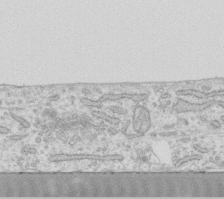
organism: Human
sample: Fibroblast cells